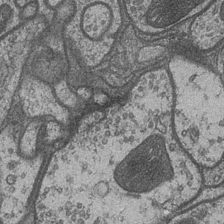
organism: Drosophila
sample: Optic medulla